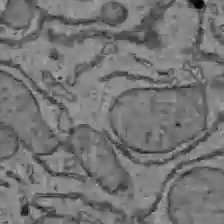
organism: C57BL Mouse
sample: Liver